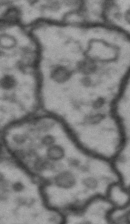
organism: Drosophila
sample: Brain